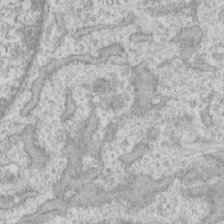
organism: Human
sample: CRL-1474